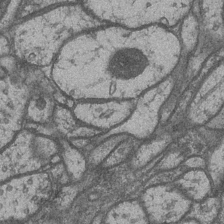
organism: Drosophila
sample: Optic medulla